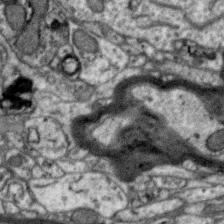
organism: Zebra finch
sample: Brain